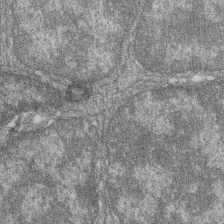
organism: Zebrafish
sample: Cilia; retinal pigment epithelium